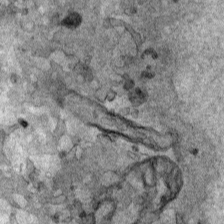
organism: Human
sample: Mitochondria in HCT116 cells